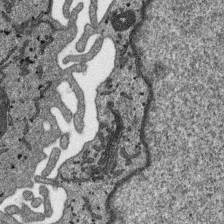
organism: Human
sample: Lung epithelial cells infected with SARS-CoV-2